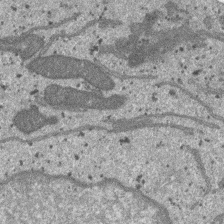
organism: Human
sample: Lung epithelial cells infected with SARS-CoV-2